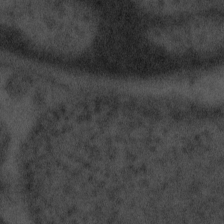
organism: Tuwongella immobilis